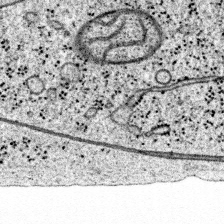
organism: Human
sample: HeLa cells